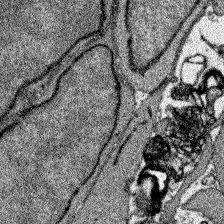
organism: Zebrafish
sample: Larval olfactory bulb